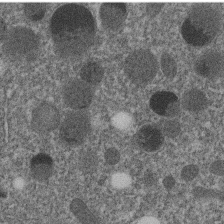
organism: C. elegans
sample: C. elegans embryo early stage